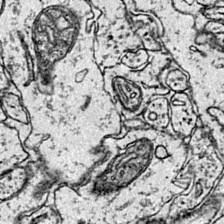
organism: Mouse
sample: Primary visual cortex